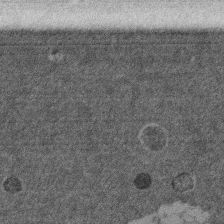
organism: Mouse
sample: Dividing mouse embryo 1 cell stage